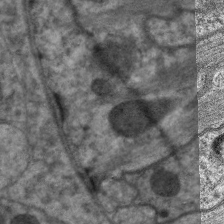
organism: C. elegans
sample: Pharynx